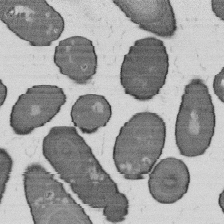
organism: B. subtilis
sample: Bacterial spore